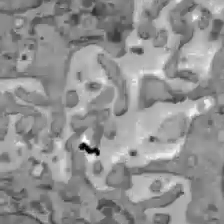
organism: C57BL Mouse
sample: Liver